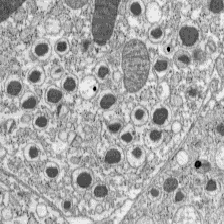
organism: C57BL Mouse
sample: Pancreatic islet